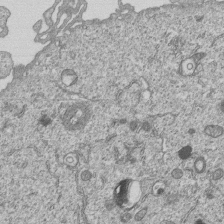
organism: Human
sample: MDA-MB-231 cells